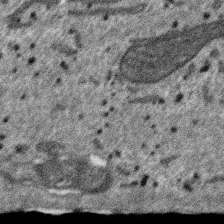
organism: Human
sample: Lung epithelial cells infected with SARS-CoV-2